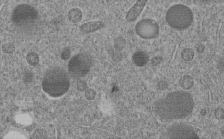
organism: C. elegans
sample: C. elegans embryo early stage